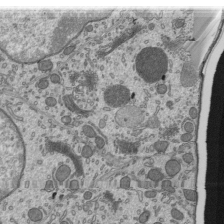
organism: Mouse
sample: Mouse epididymis efferent ductule cilia